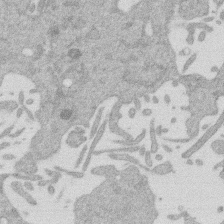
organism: Mouse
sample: Dividing mouse embryo 1 cell stage